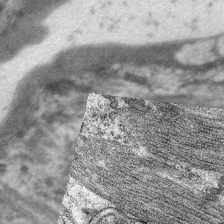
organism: C. elegans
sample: Pharynx